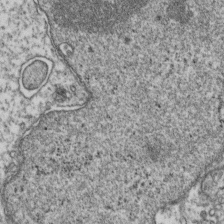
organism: Human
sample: Activated Jurkat CD4+ T cells